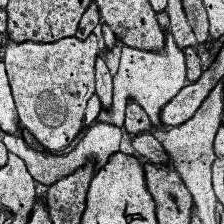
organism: Human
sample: Temporal Lobe